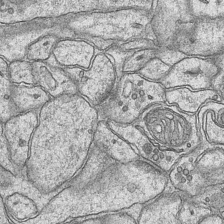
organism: Mouse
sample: CA1 Hippocampus